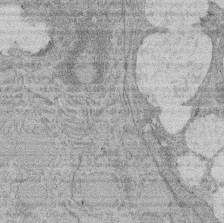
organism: Rat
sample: Salivary granule